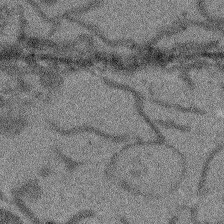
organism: Arabidopsis thaliana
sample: Root tip